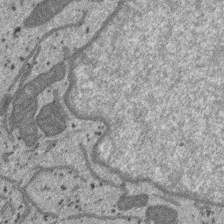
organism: Human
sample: Lung epithelial cells infected with SARS-CoV-2